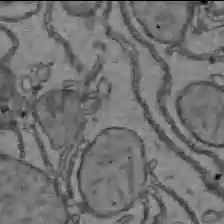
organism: C57BL Mouse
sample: Liver